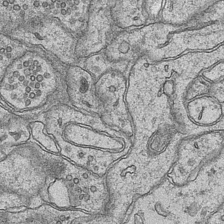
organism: Mouse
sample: CA1 Hippocampus